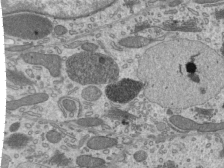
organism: Mouse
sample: Mouse epididymis efferent ductule cilia